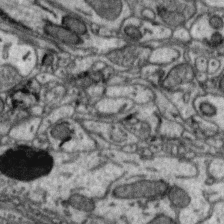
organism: Zebra finch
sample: Brain